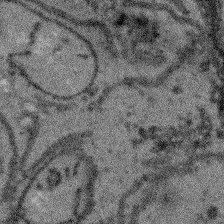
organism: Arabidopsis thaliana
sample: Root tip